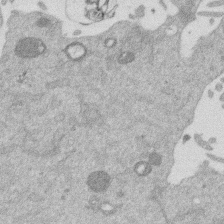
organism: Mouse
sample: Dividing mouse embryo 1 cell stage